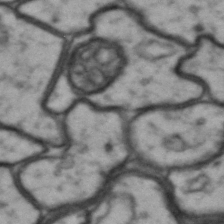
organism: Drosophila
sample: Brain